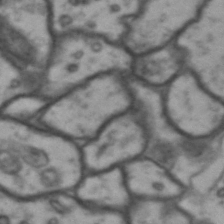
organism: Drosophila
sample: Brain